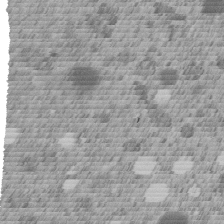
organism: C. elegans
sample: C. elegans embryo early stage